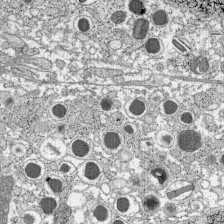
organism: C57BL Mouse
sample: Pancreatic islet